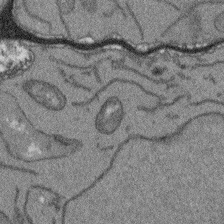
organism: Arabidopsis thaliana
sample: Root tip